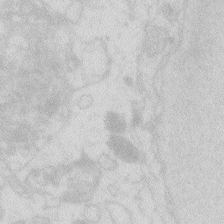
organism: Zebrafish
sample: Macrophage